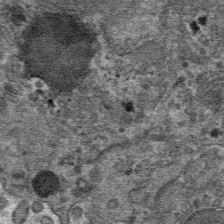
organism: Mouse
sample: Mouse hepatocytes